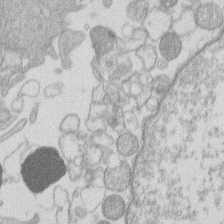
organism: Human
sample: Macrophage cells